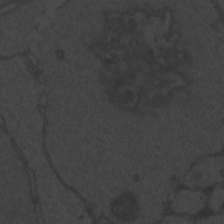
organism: Zebrafish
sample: Macrophage infected with Toxoplasma gondii